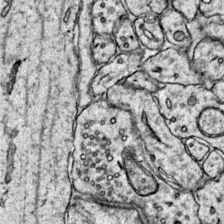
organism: Mouse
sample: Primary visual cortex